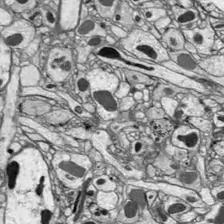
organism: Drosophila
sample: Optic lobe